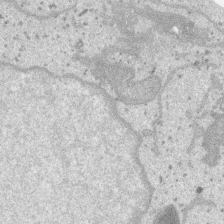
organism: Human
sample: Lung epithelial cells infected with SARS-CoV-2